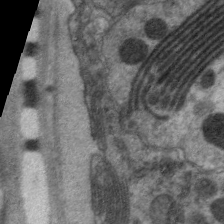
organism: C. elegans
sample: Pharynx